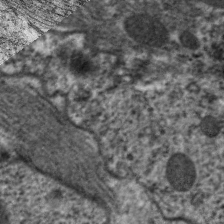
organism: C. elegans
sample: Pharynx